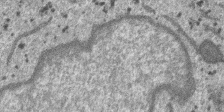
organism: Human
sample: Lung epithelial cells infected with SARS-CoV-2